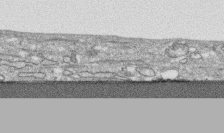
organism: Human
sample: CRL-1474